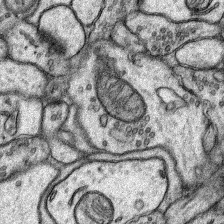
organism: Rat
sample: Hippocampus